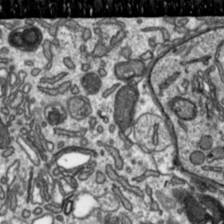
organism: Toxoplasma gondii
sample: Parasites in a vacuole inside a host cell